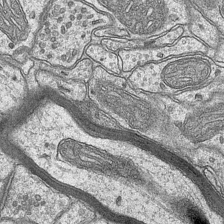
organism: Mouse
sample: CA1 Hippocampus